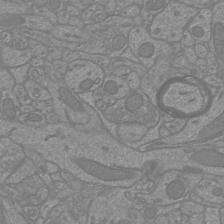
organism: Mouse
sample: Cortical neurons